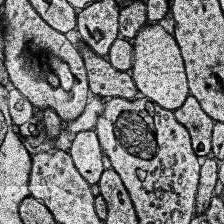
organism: Human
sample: Temporal Lobe